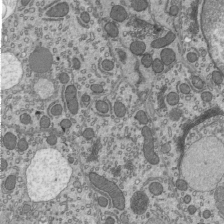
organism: Mouse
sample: Mouse epididymis efferent ductule cilia